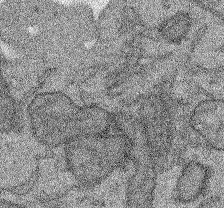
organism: Human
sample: HeLa cells